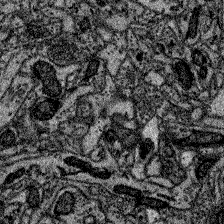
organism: Zebrafish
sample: Larval olfactory bulb